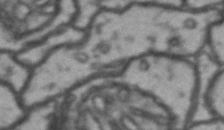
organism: Drosophila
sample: Brain